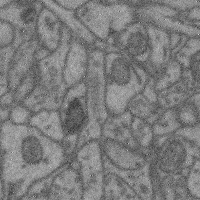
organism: Mouse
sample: Cerebral cortex